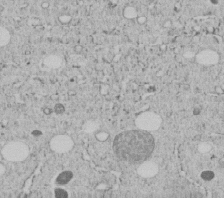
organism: C. elegans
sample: C. elegans embryo early stage